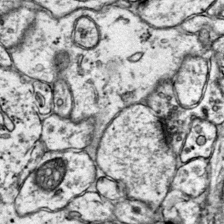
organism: Mouse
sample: Primary visual cortex